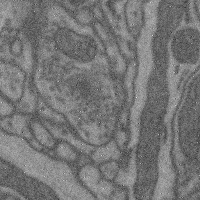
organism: Mouse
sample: Cerebral cortex